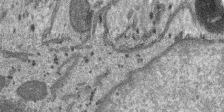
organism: Human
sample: Lung epithelial cells infected with SARS-CoV-2